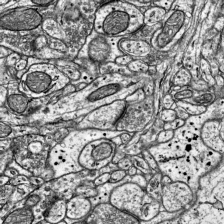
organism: Mouse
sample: Visual Cortex